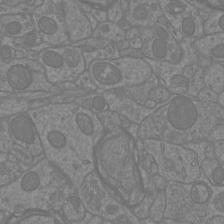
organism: Mouse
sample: Cortical neurons